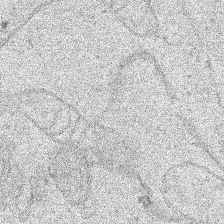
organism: Human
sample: Mitochondria in HCT116 cells